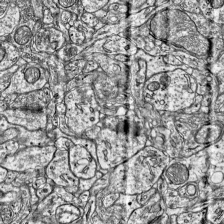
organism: Mouse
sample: Visual Cortex